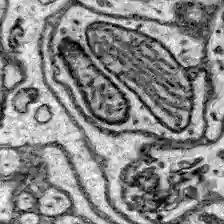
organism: Zebrafish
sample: Brain